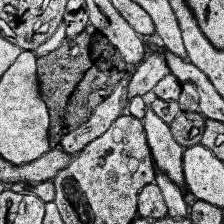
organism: Human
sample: Temporal Lobe